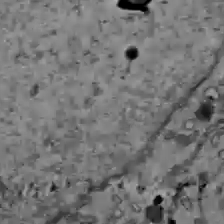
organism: C57BL Mouse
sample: Liver